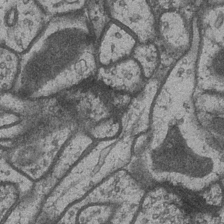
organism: Drosophila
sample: Optic medulla